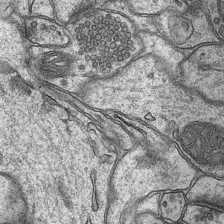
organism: Mouse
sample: CA1 Hippocampus